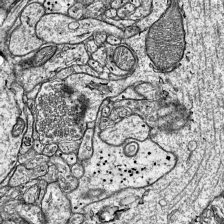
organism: Mouse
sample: Visual Cortex